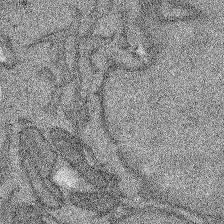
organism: Human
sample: HeLa cells